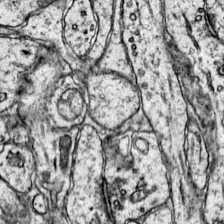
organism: Mouse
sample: Primary visual cortex